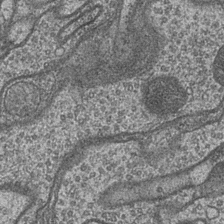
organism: Drosophila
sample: Optic medulla